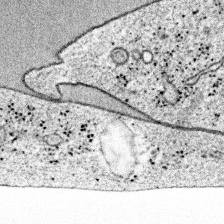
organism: Human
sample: HeLa cells